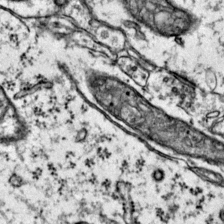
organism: Mouse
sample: Primary visual cortex